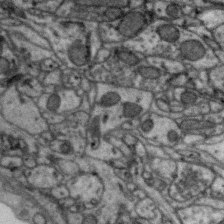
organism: Zebra finch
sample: Brain